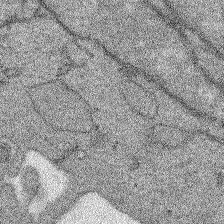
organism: Human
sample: HeLa cells